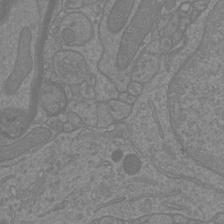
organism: Mouse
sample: Cortical neurons